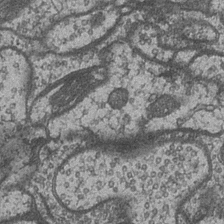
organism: Drosophila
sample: Optic medulla